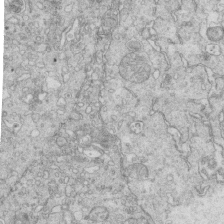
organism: Mouse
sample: Multiciliated cells